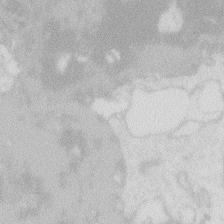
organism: Zebrafish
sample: Macrophage